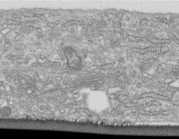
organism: Human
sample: Centriole in fibroblast cells